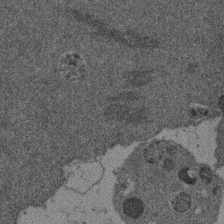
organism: Mouse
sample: Dividing mouse embryo 1 cell stage